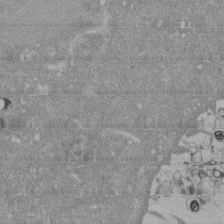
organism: Mouse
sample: ED-1 cell nuclei; centrioles